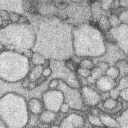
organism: Rabbit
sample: Retina